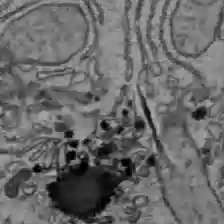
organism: C57BL Mouse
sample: Liver